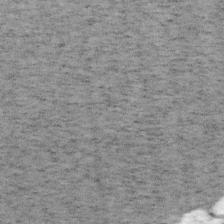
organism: Mouse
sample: OT-I killer T cells with ID8 ovarian cancer cells